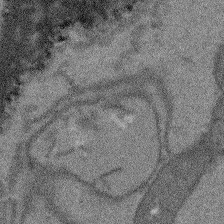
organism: Arabidopsis thaliana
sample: Root tip